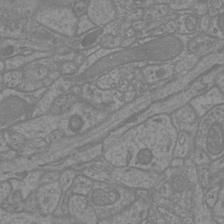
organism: Mouse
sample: Cortical neurons